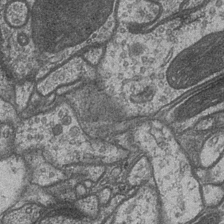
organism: Drosophila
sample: Optic medulla